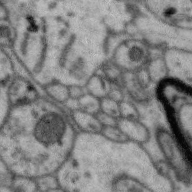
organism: Zebra finch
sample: Brain